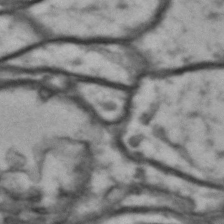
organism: Drosophila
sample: Brain